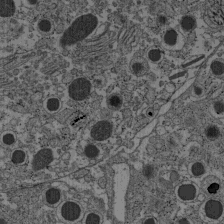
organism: C57BL Mouse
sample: Pancreatic islet